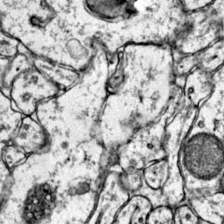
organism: Mouse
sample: Primary visual cortex